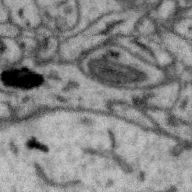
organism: Zebra finch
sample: Brain